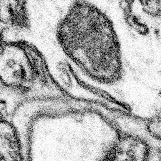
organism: Mouse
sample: Somatosensory cortex neuropil